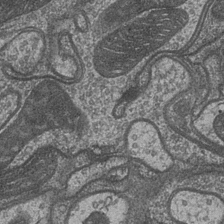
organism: Drosophila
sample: Optic medulla